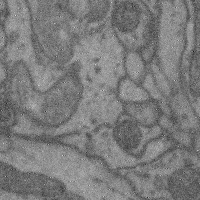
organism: Mouse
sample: Cerebral cortex